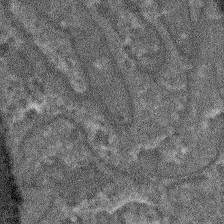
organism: Arabidopsis thaliana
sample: Root tip